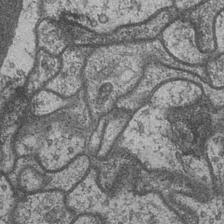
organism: Drosophila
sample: Optic medulla